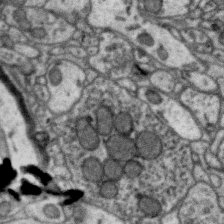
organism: Zebra finch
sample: Brain